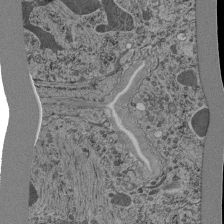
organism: C. elegans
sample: C. elegans pharynx